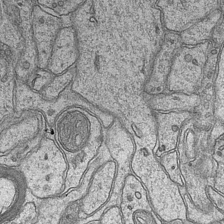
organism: Mouse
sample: CA1 Hippocampus